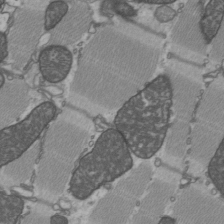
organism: C57BL Mouse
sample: Heart